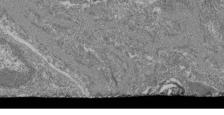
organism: Mouse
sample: Glomerulus